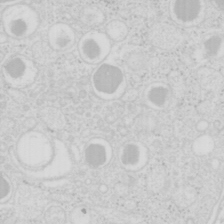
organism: Mouse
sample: Pancreas